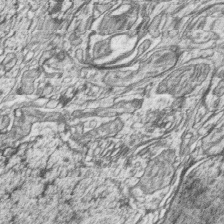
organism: Zebrafish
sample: synaptic ribbons in rod cells and cone cells